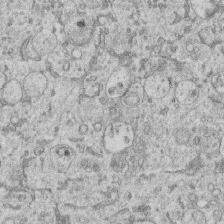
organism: Human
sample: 1205lu cells